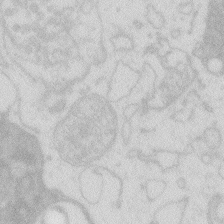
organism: Zebrafish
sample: Macrophage